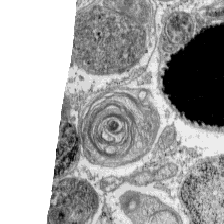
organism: C57BL Mouse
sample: Pancreatic islet